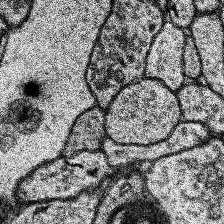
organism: Human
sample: Temporal Lobe